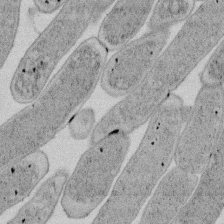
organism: E. coli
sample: Bacterial nucleoid